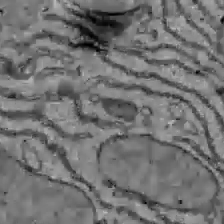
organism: C57BL Mouse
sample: Liver